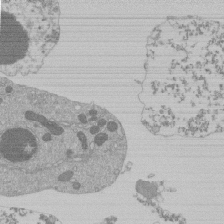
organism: Mouse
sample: Activated Pmel transgenic CD8+ T Cells